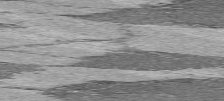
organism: C57BL Mouse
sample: Heart